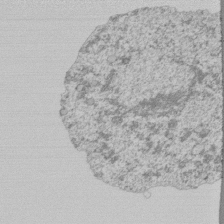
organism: Mouse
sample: Activated Pmel transgenic CD8+ T Cells